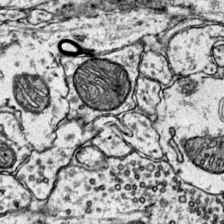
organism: Mouse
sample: Primary visual cortex